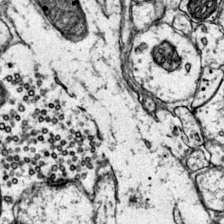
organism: Mouse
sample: Primary visual cortex